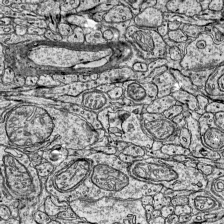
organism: Mouse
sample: Visual Cortex